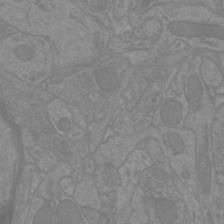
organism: Mouse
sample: Cortical neurons